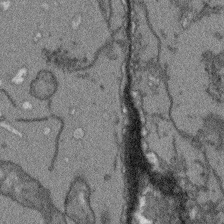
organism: Arabidopsis thaliana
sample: Root tip